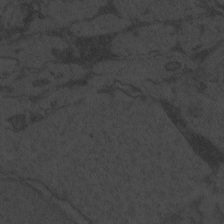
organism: Zebrafish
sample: Macrophage infected with Toxoplasma gondii